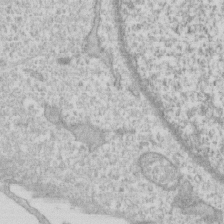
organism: Human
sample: CRL-1474